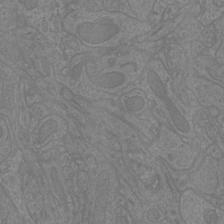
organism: Mouse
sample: Cortical neurons